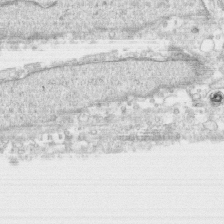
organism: Human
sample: CRL-1474